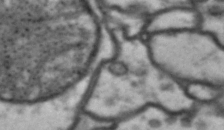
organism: Drosophila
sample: Brain